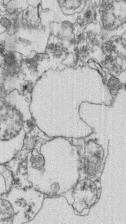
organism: Human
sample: HeLa cell HIV synapse